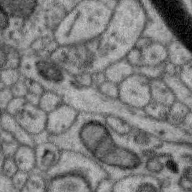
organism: Zebra finch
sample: Brain